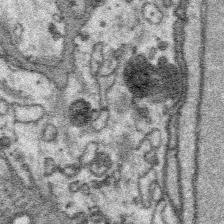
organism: Platynereis dumerilii